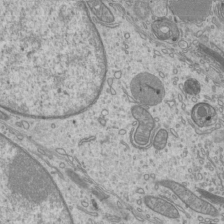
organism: Mouse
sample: Cilia; mouse epididymis